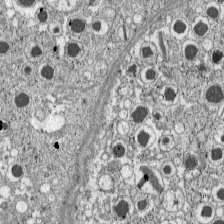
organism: C57BL Mouse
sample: Pancreatic islet